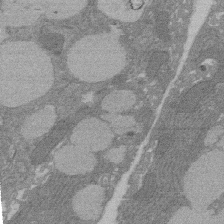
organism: Rat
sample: Salivary granule